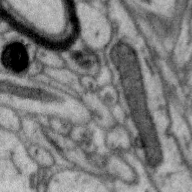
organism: Zebra finch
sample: Brain